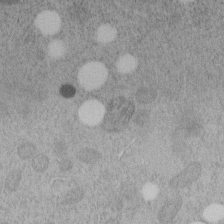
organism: C. elegans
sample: C. elegans embryo early stage